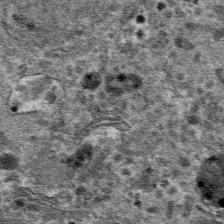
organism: Mouse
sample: Mouse hepatocytes